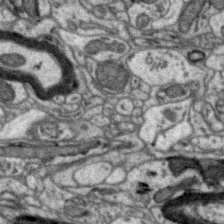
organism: Zebra finch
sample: Brain